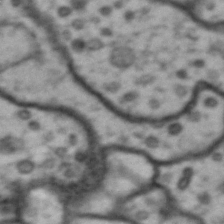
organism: Drosophila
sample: Brain